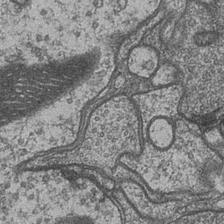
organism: Drosophila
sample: Optic medulla